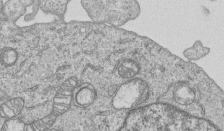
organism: Human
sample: MDA-MB-231 cells